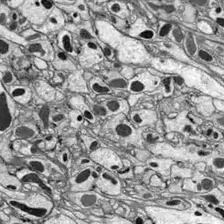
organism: Drosophila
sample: Optic lobe